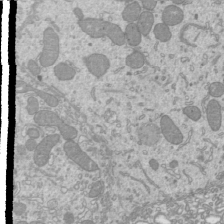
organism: Mouse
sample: Cilia; mouse epididymis